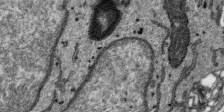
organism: Human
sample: Lung epithelial cells, uninfected (mock) control